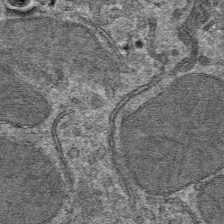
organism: Mouse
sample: Mouse hepatocytes